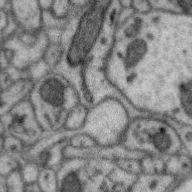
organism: Zebra finch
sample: Brain